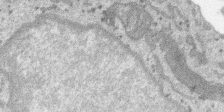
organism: Human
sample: Lung epithelial cells infected with SARS-CoV-2